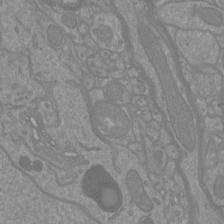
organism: Mouse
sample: Cortical neurons